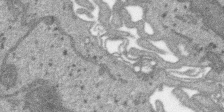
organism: Human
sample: Lung epithelial cells infected with SARS-CoV-2